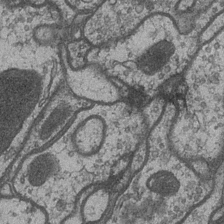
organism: Drosophila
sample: Optic medulla